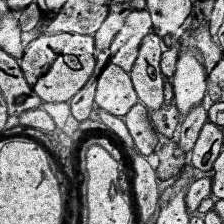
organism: Human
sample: Temporal Lobe